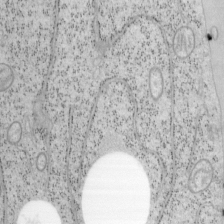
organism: Mouse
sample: OT-I killer T cells with ID8 ovarian cancer cells